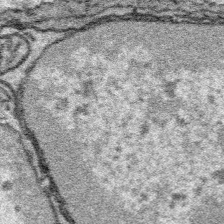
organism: Platynereis dumerilii